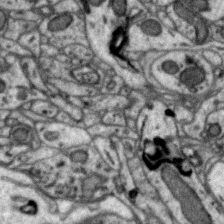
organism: Zebra finch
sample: Brain